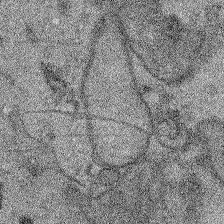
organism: Human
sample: HeLa cells